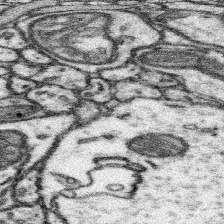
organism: Mouse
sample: Somatosensory cortex neuropil